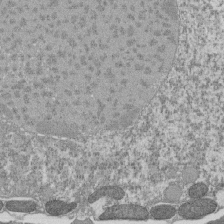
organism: Tetrahymena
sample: Cilia in tetrahymena